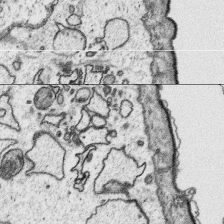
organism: Platynereis dumerilii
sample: Parapodia